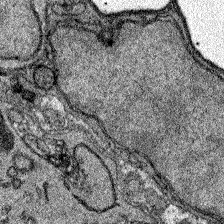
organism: Zebrafish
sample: Larval olfactory bulb